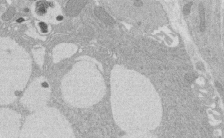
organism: Rat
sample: Salivary granule